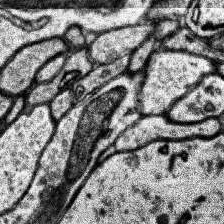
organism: Human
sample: Temporal Lobe